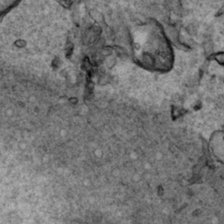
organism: Human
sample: Mitochondria in HCT116 cells